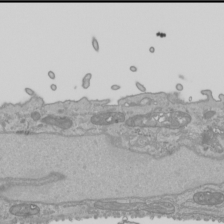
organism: Human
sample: Mitochondria in HCT116 cells